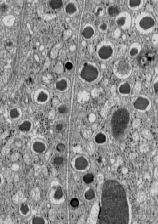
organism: C57BL Mouse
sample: Pancreatic islet